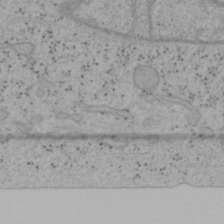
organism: Human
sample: HeLa cells